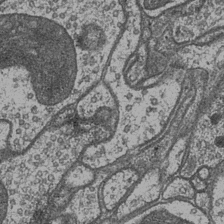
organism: Drosophila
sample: Optic medulla